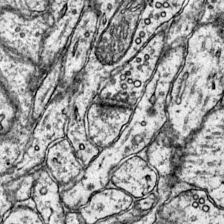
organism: Mouse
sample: Primary visual cortex